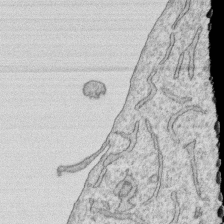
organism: Human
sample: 1205lu cells